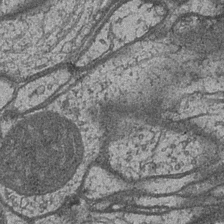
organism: Drosophila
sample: Optic medulla